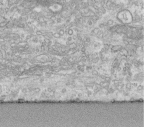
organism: Human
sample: Centriole in fibroblast cells